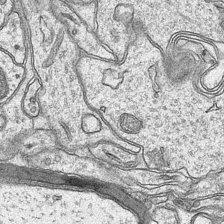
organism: Mouse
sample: CA1 Hippocampus